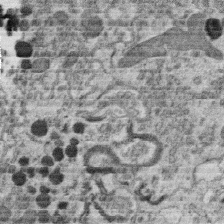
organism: C. elegans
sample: C. elegans oocyte; sperm cells